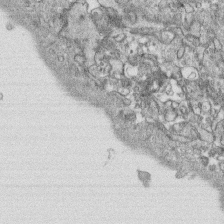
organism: Human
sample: CRL-1474